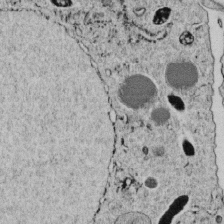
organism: C. elegans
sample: C. elegans embryo early stage